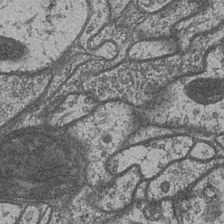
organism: Drosophila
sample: Optic medulla